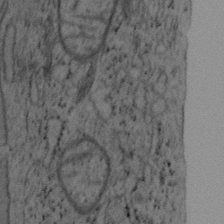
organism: Human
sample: HeLa cells